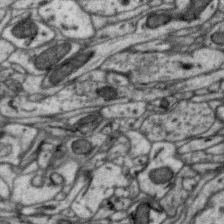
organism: Zebra finch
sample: Brain